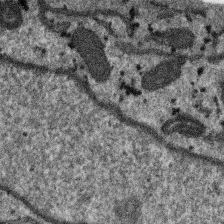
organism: Human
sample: Lung epithelial cells infected with SARS-CoV-2